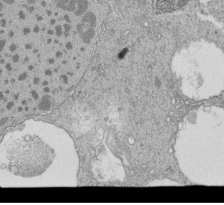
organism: Tetrahymena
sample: Cilia in tetrahymena